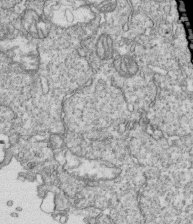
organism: Human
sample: HeLa cell HIV synapse